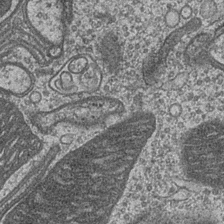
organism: Drosophila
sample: Optic medulla